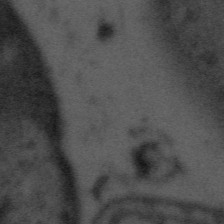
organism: Tuwongella immobilis